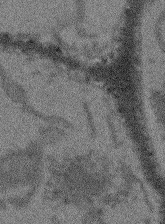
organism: Arabidopsis thaliana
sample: Root tip